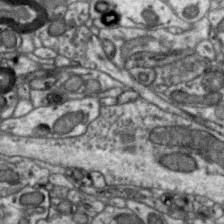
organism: Zebra finch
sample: Brain